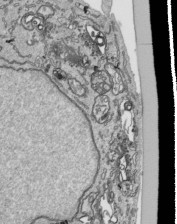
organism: Human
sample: Mitochondria in HCT116 cells